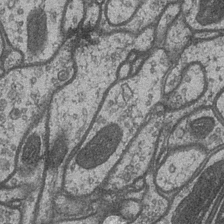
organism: Drosophila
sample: Optic medulla